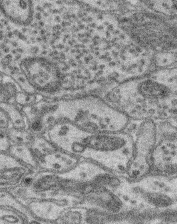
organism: Mouse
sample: Retina